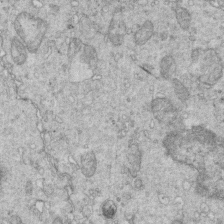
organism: Mouse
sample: Multiciliated cells